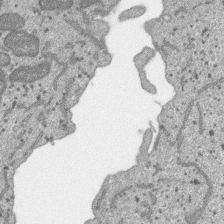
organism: Human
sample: Lung epithelial cells infected with SARS-CoV-2